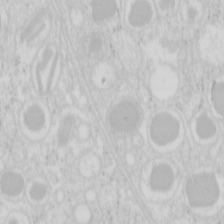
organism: Mouse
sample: Pancreas